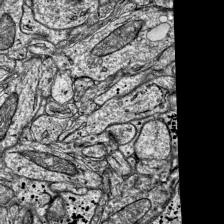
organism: Mouse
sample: Visual Cortex